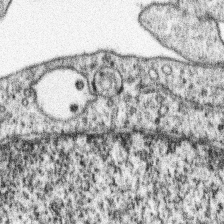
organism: Human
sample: HeLa cells